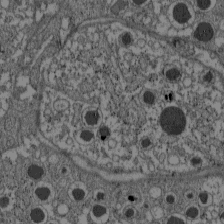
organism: C57BL Mouse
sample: Pancreatic islet